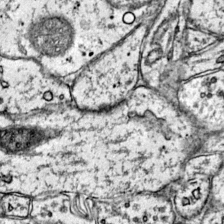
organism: Mouse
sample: Primary visual cortex